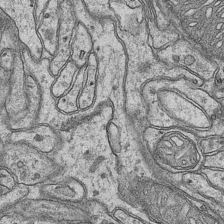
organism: Mouse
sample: CA1 Hippocampus